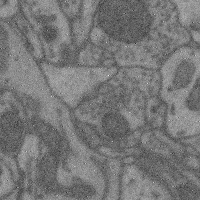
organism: Mouse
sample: Cerebral cortex